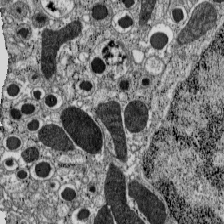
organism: C57BL Mouse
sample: Pancreatic islet